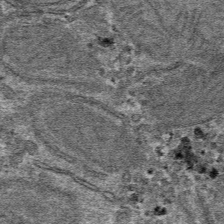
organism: Mouse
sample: Mouse hepatocytes